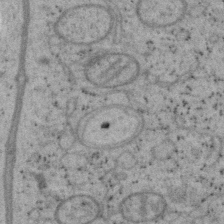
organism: Human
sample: HeLa cells